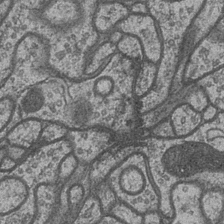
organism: Drosophila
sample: Optic medulla